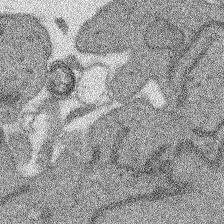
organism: Human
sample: HeLa cells